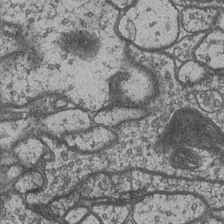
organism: Drosophila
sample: Optic medulla